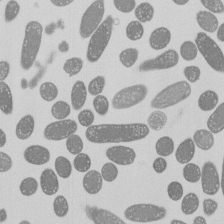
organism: E. coli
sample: Bacterial nucleoid